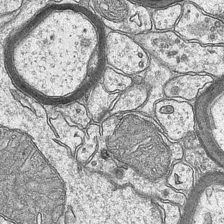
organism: Mouse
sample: CA1 Hippocampus